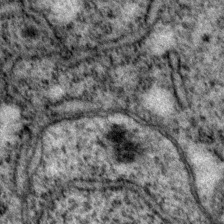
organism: P. pacificus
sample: Pharynx